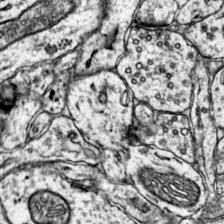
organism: Mouse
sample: Primary visual cortex